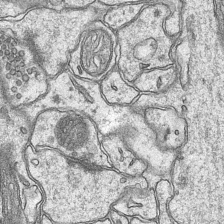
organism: Mouse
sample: CA1 Hippocampus